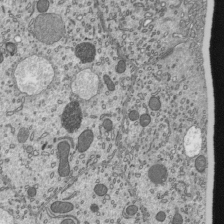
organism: Mouse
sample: Mouse epididymis efferent ductule cilia